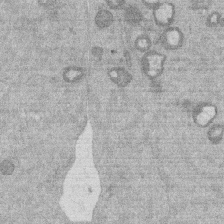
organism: Mouse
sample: Dividing mouse embryo 1 cell stage